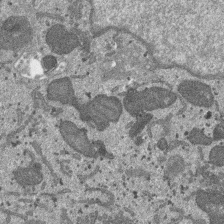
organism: Human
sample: Lung epithelial cells infected with SARS-CoV-2